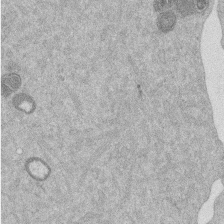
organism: Mouse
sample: Dividing mouse embryo 1 cell stage